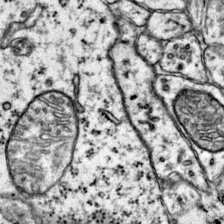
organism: Mouse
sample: Primary visual cortex